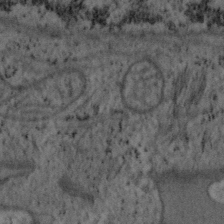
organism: Human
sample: HeLa cells